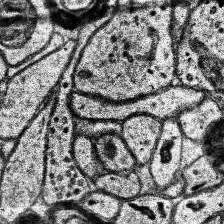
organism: Human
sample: Temporal Lobe